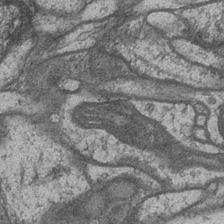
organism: Drosophila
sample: Optic medulla